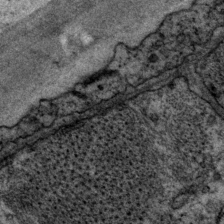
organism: P. pacificus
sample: Pharynx